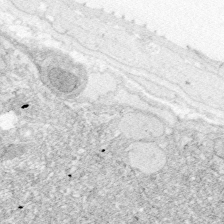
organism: Zebrafish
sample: Whole-Brain